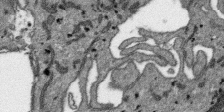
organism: Human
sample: Lung epithelial cells, uninfected (mock) control